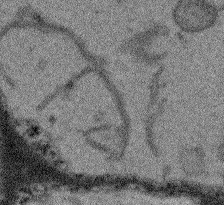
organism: Arabidopsis thaliana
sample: Root tip